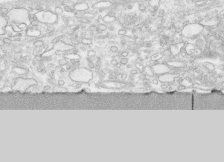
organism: Human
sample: CRL-1474